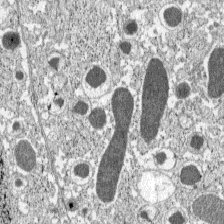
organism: C57BL Mouse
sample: Pancreatic islet